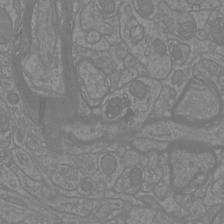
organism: Mouse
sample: Cortical neurons